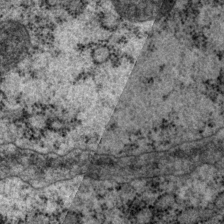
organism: P. pacificus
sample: Pharynx